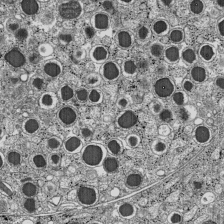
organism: C57BL Mouse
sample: Pancreatic islet